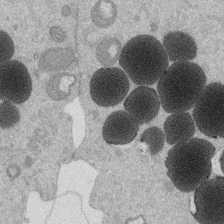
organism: Mouse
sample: Dividing mouse embryo 1 cell stage